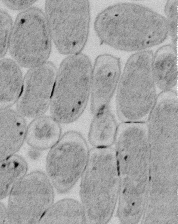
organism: E. coli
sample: Bacterial nucleoid